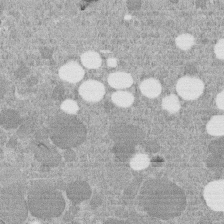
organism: C. elegans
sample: C. elegans embryo early stage